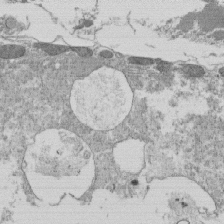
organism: Tetrahymena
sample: Cilia in tetrahymena